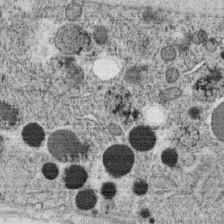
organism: C. elegans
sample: C. elegans oocyte; sperm cells